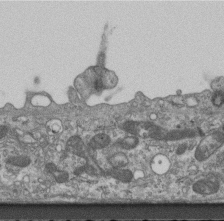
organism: Mouse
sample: Centriole in ependymal cells